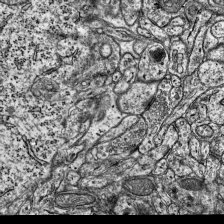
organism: Mouse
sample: Visual Cortex